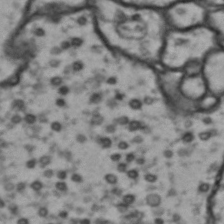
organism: Drosophila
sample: Brain